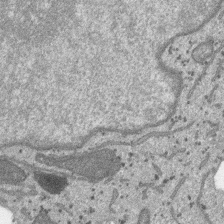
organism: Human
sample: Lung epithelial cells infected with SARS-CoV-2